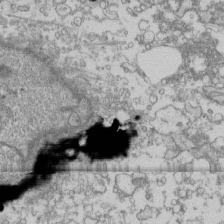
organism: Human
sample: Fibroblast cells